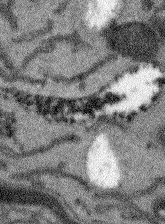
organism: Arabidopsis thaliana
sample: Root tip